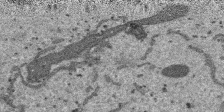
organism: Human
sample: Lung epithelial cells infected with SARS-CoV-2